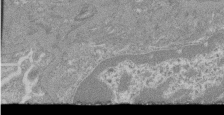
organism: Mouse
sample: Glomerulus